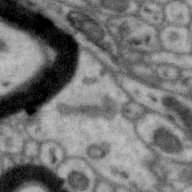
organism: Zebra finch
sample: Brain